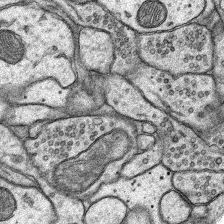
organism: Rat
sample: Hippocampus